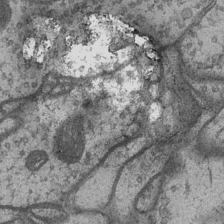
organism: Drosophila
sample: Optic medulla